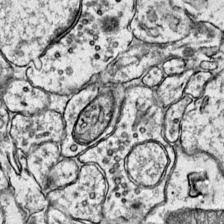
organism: Mouse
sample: Primary visual cortex